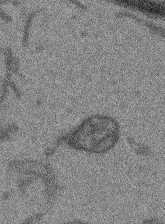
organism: Arabidopsis thaliana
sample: Root tip